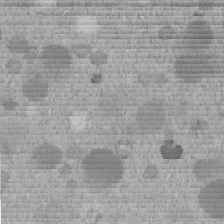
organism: C. elegans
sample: C. elegans embryo early stage